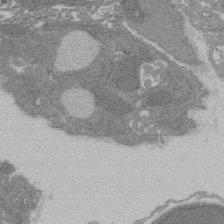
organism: Rat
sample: Salivary granule